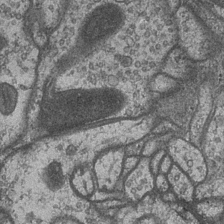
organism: Drosophila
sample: Optic medulla